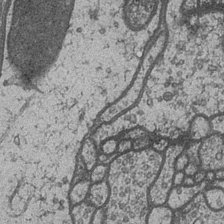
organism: Drosophila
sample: Optic medulla